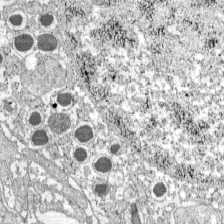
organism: C57BL Mouse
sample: Pancreatic islet